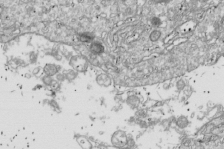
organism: Drosophila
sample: Cell division; meiosis; drosophila spermatocytes